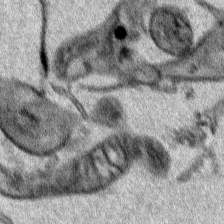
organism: Human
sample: Mitochondria in HCT116 cells